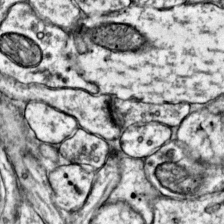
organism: Mouse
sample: Primary visual cortex